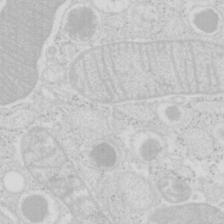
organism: Mouse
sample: Pancreas